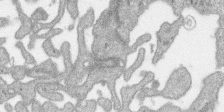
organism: Human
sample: Lung epithelial cells infected with SARS-CoV-2